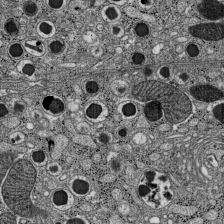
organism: C57BL Mouse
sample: Pancreatic islet